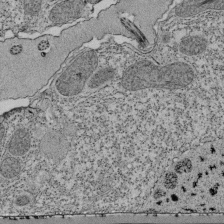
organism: Tetrahymena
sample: Cilia in tetrahymena